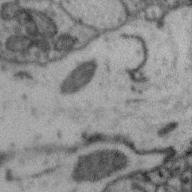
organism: Zebra finch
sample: Brain